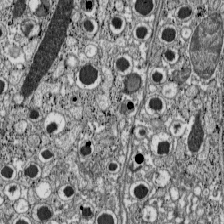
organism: C57BL Mouse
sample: Pancreatic islet